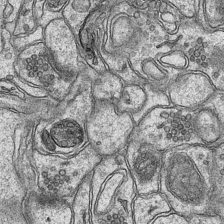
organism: Mouse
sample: CA1 Hippocampus